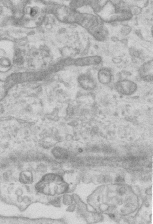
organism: Mouse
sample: Centriole in ependymal cells